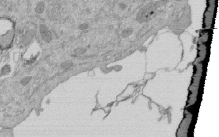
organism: Mouse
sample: ED-1 cell nuclei; centrioles